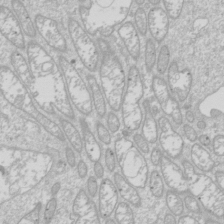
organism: Drosophila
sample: Cell division; meiosis; drosophila spermatocytes